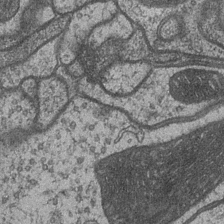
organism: Drosophila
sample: Optic medulla